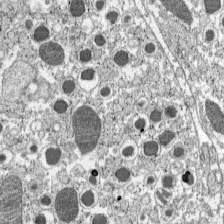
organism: C57BL Mouse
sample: Pancreatic islet